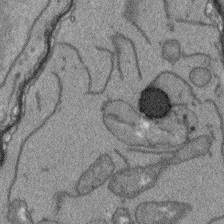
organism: Arabidopsis thaliana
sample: Root tip